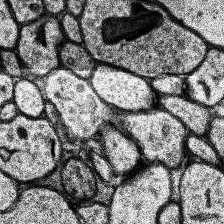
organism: Human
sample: Temporal Lobe